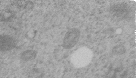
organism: C. elegans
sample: C. elegans embryo early stage